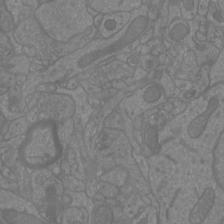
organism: Mouse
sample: Cortical neurons